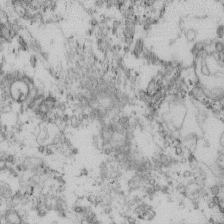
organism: Mouse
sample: Cilia; retinal pigment epithelium